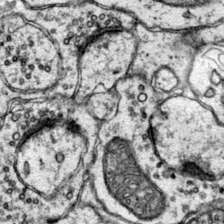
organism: Mouse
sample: Primary visual cortex